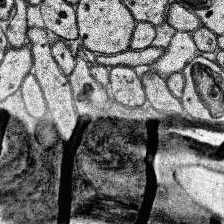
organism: Human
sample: Temporal Lobe